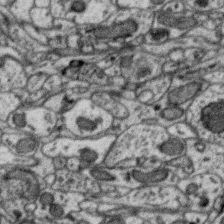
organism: Zebra finch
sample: Brain